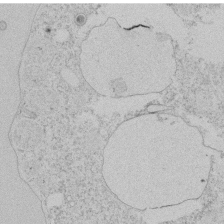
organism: Tetrahymena